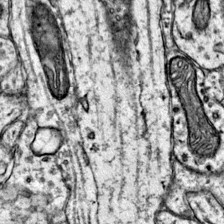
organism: Mouse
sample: Primary visual cortex